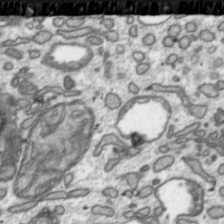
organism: Toxoplasma gondii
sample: Parasites in a vacuole inside a host cell